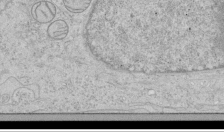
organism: Human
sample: Mitochondria in HCT116 cells